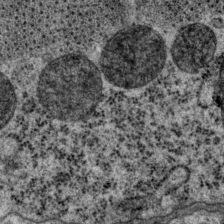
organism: P. pacificus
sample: Pharynx